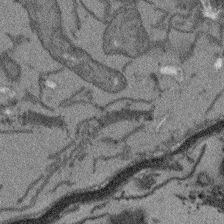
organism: Arabidopsis thaliana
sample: Root tip